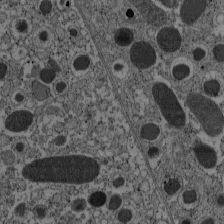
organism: C57BL Mouse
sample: Pancreatic islet